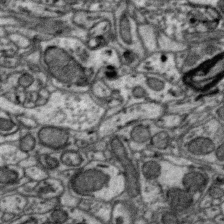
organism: Zebra finch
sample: Brain